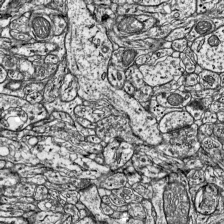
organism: Mouse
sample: Visual Cortex